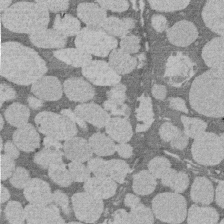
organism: Rat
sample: Salivary granule